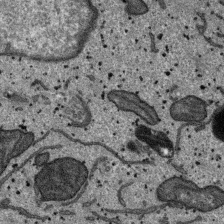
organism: Human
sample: Lung epithelial cells, uninfected (mock) control